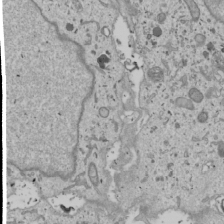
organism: Human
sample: Mitochondria in U2OS cells